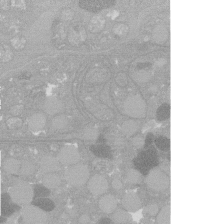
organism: C. elegans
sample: C. elegans oocyte; sperm cells